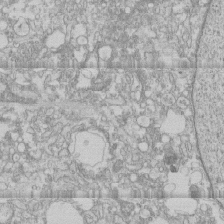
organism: Human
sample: CRL-1474